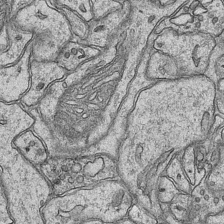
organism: Mouse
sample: CA1 Hippocampus